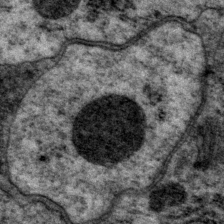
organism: P. pacificus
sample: Pharynx